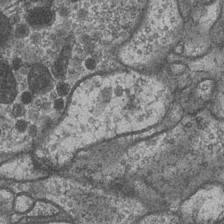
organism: Drosophila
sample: Optic medulla